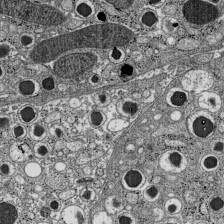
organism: C57BL Mouse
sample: Pancreatic islet